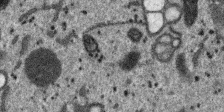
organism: Human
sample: Lung epithelial cells infected with SARS-CoV-2